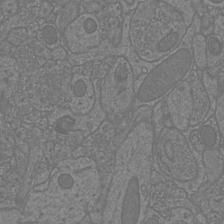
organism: Mouse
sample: Cortical neurons